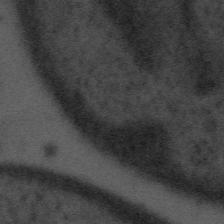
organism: Tuwongella immobilis